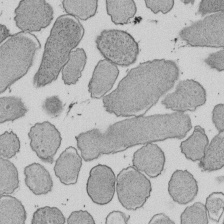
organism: E. coli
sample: Bacterial nucleoid